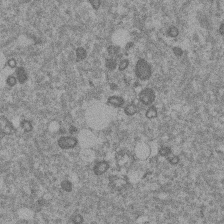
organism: Mouse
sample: Dividing mouse embryo 1 cell stage